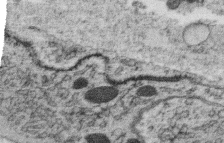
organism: C. elegans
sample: C. elegans oocyte; sperm cells